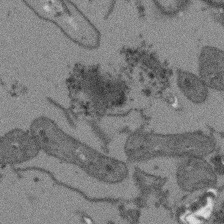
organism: Arabidopsis thaliana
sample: Root tip